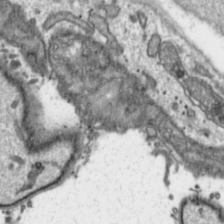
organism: Toxoplasma gondii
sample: Parasites in a vacuole inside a host cell